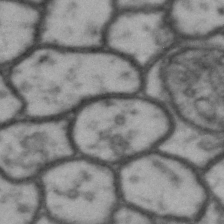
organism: Drosophila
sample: Brain